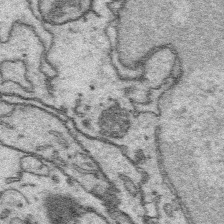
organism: Platynereis dumerilii